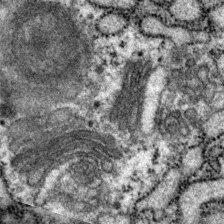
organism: P. pacificus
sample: Pharynx